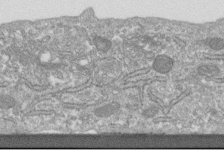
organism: Human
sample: Centriole in fibroblast cells